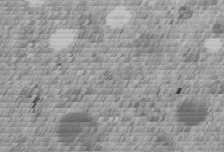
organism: C. elegans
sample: C. elegans embryo early stage